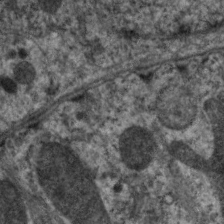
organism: C. elegans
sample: Pharynx